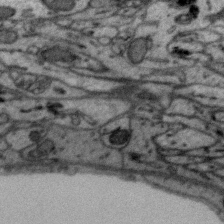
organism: Zebra finch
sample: Brain